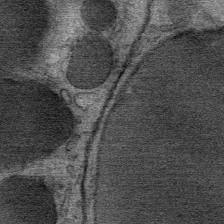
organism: Mouse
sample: Mouse Salivary gland